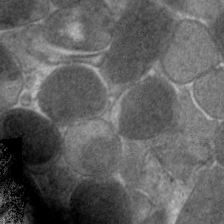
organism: C. elegans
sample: Pharynx